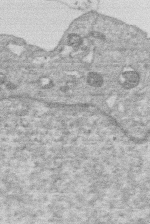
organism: Human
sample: Macrophage cells